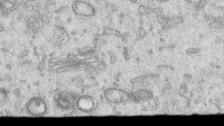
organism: Human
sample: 1205lu cells